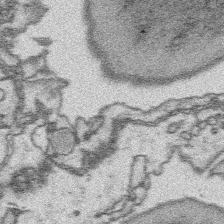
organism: Platynereis dumerilii